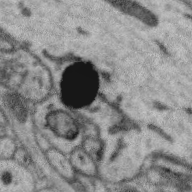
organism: Zebra finch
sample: Brain